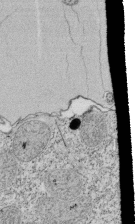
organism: Tetrahymena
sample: Cilia in tetrahymena